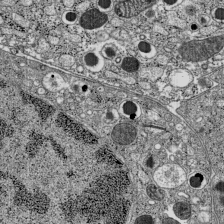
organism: C57BL Mouse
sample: Pancreatic islet